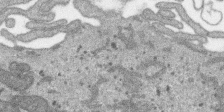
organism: Human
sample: Lung epithelial cells infected with SARS-CoV-2